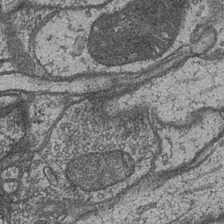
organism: Drosophila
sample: Optic medulla